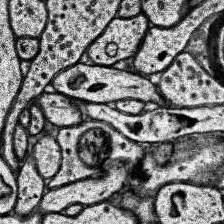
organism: Human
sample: Temporal Lobe